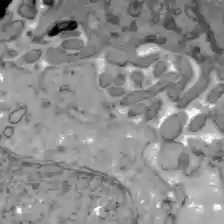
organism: C57BL Mouse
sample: Liver